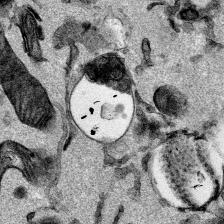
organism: Mouse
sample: Cancer cell death in ED-1 cells